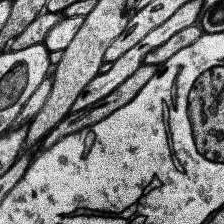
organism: Human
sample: Temporal Lobe